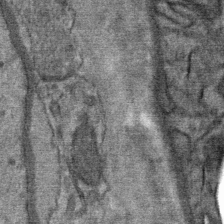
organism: Mouse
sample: Mouse Salivary gland